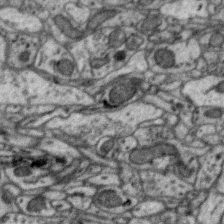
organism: Zebra finch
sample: Brain